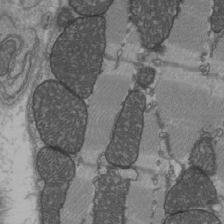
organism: C57BL Mouse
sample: Heart